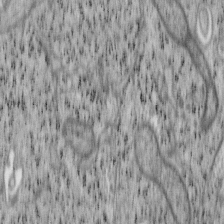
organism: Human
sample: HeLa cells